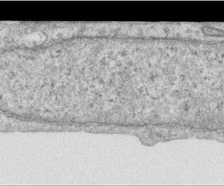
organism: Human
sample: Centriole in RPE cells